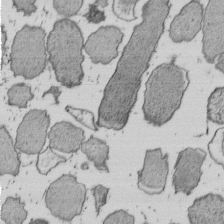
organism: E. coli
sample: Bacterial nucleoid